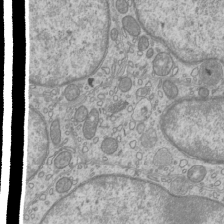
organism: Mouse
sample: Cilia; mouse epididymis